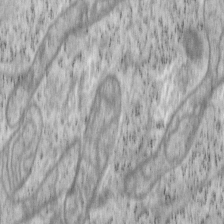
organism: Human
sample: HeLa cells